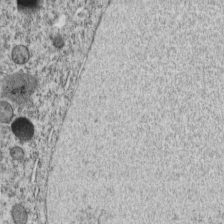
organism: C. elegans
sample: C. elegans embryo early stage